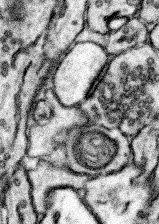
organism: Mouse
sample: Somatosensory cortex neuropil